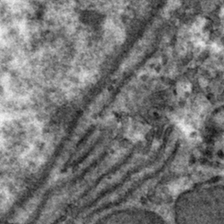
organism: Mouse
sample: Mouse hepatocytes